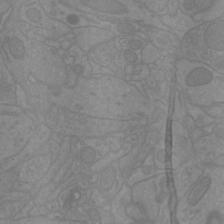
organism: Mouse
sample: Cortical neurons